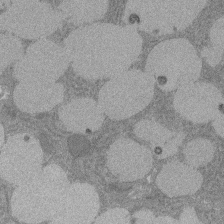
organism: Rat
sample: Salivary granule